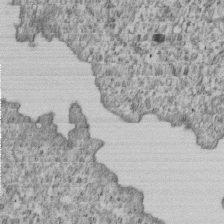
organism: Human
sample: MDA-MB-231 cells